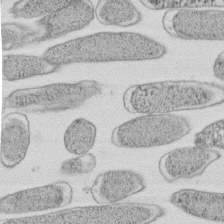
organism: E. coli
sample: Bacterial nucleoid